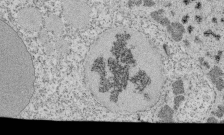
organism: Tetrahymena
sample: Cilia in tetrahymena